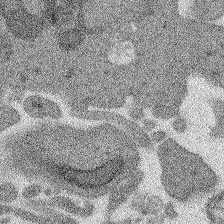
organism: Human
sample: HeLa cells